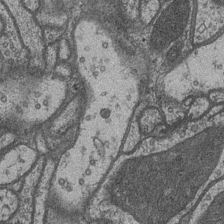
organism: Drosophila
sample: Optic medulla